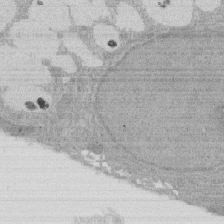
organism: Rat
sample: Salivary granule